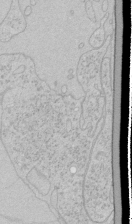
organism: Human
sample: Mitochondria in HCT116 cells